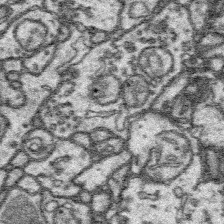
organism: Platynereis dumerilii